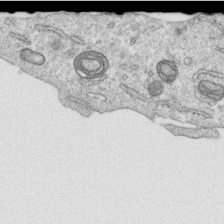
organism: Human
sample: Centriole in RPE cells